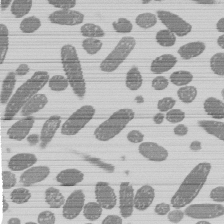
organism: E. coli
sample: Bacterial nucleoid